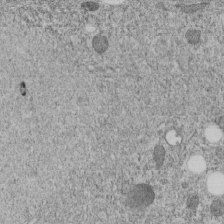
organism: C. elegans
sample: C. elegans embryo early stage